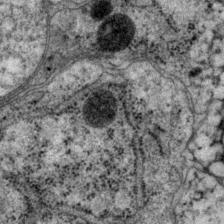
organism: P. pacificus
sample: Pharynx